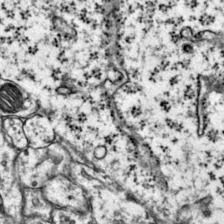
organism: Mouse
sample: Primary visual cortex